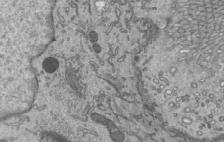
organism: Mouse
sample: Mouse epididymis efferent ductule cilia